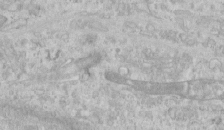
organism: Human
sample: Centriole in RPE cells